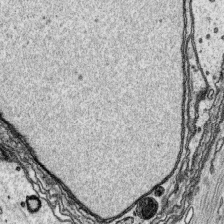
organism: Platynereis dumerilii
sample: Parapodia